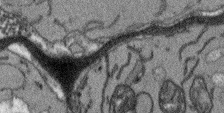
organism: Arabidopsis thaliana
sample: Root tip